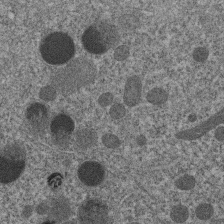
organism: C. elegans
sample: C. elegans embryo early stage